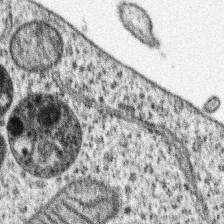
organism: Human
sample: HeLa cells